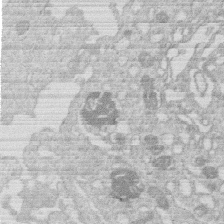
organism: Human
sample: Macrophage cells